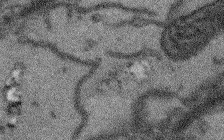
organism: Arabidopsis thaliana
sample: Root tip